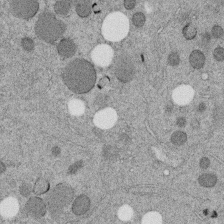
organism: C. elegans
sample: C. elegans embryo early stage